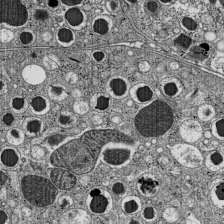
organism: C57BL Mouse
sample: Pancreatic islet